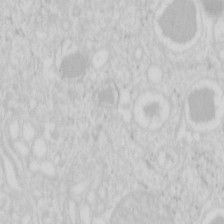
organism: Mouse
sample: Pancreas